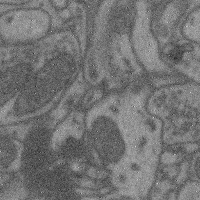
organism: Mouse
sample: Cerebral cortex